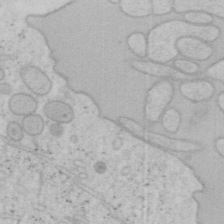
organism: Human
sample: HeLa cells